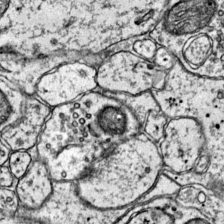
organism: Mouse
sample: Primary visual cortex